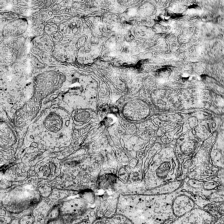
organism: Mouse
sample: Visual Cortex